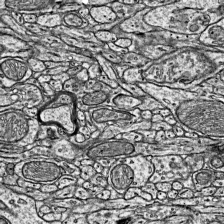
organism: Mouse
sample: Visual Cortex